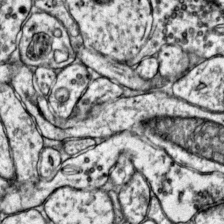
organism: Mouse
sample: Primary visual cortex